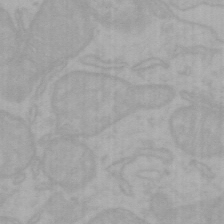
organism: Mouse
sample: Choroid plexus